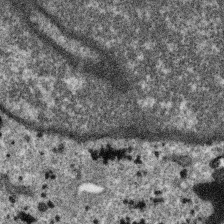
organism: Human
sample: Lung epithelial cells infected with SARS-CoV-2